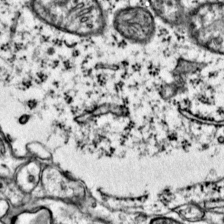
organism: Mouse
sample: Primary visual cortex